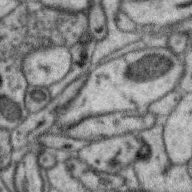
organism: Zebra finch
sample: Brain